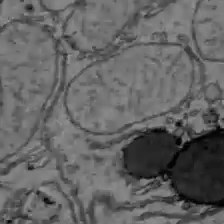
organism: C57BL Mouse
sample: Liver